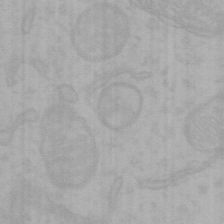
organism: Mouse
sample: Choroid plexus